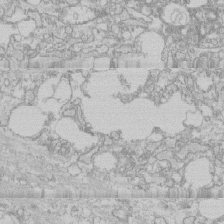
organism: Human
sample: CRL-1474